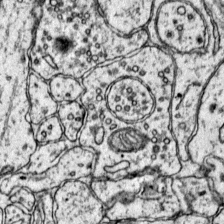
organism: Mouse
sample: Primary visual cortex